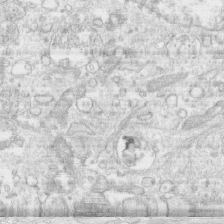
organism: Human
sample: CRL-1474